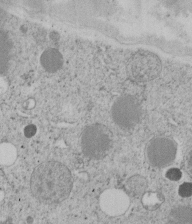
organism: C. elegans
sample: C. elegans embryo early stage